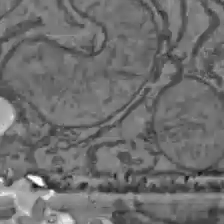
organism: C57BL Mouse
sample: Liver